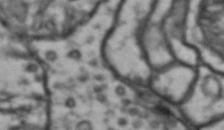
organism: Drosophila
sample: Brain